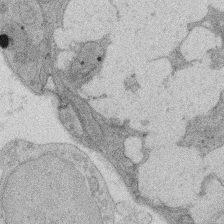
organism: Rat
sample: Salivary granule